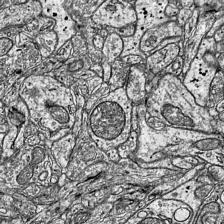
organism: Mouse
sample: Visual Cortex